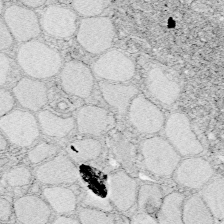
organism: Zebrafish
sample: Whole-Brain